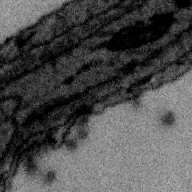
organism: Zebra finch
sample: Brain